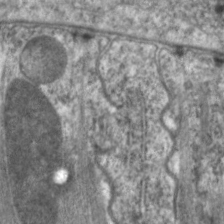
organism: C. elegans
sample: Pharynx